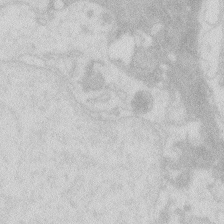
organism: Zebrafish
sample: Macrophage